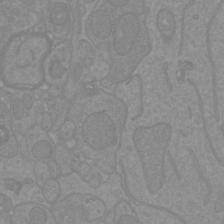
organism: Mouse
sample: Cortical neurons